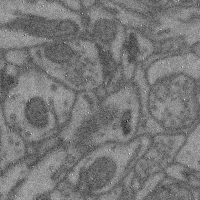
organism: Mouse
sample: Cerebral cortex